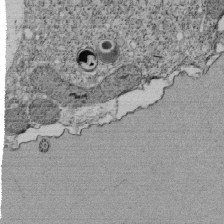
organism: Tetrahymena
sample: Cilia in tetrahymena